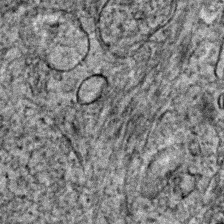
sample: Trachea